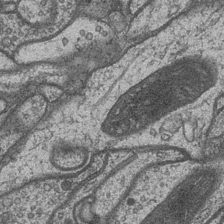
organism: Drosophila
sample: Optic medulla